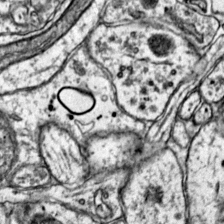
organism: Mouse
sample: Primary visual cortex